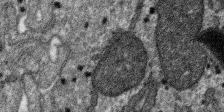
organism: Human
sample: Lung epithelial cells infected with SARS-CoV-2